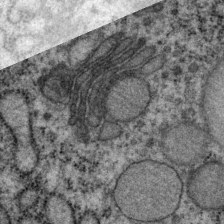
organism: P. pacificus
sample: Pharynx